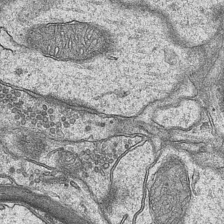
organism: Mouse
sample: CA1 Hippocampus